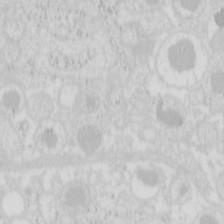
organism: Mouse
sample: Pancreas